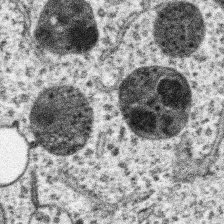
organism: Human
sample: HeLa cells